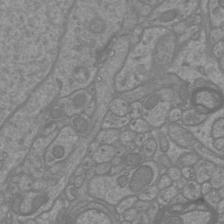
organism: Mouse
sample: Cortical neurons